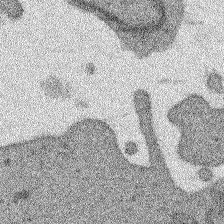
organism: Human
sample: HeLa cells